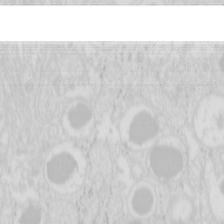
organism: Mouse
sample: Pancreas